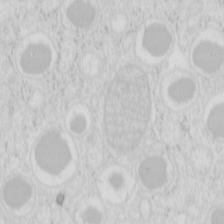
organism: Mouse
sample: Pancreas